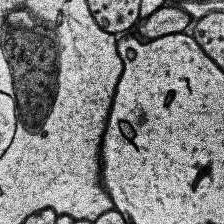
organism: Human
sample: Temporal Lobe